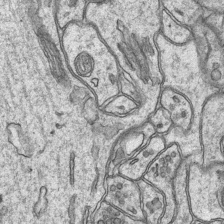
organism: Mouse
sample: CA1 Hippocampus